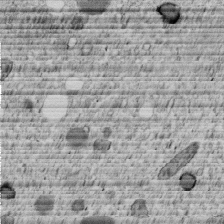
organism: C. elegans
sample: C. elegans embryo early stage